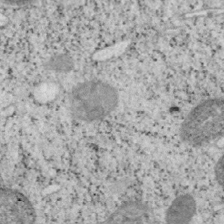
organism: Mouse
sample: OT-I killer T cells with ID8 ovarian cancer cells